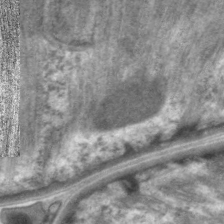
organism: C. elegans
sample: Pharynx